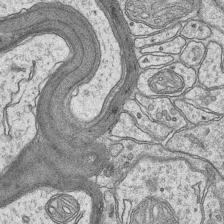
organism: Mouse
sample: CA1 Hippocampus